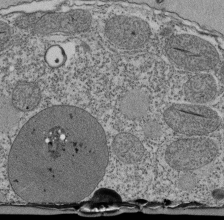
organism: Tetrahymena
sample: Cilia in tetrahymena